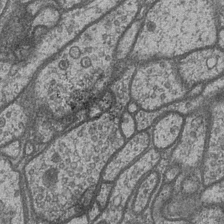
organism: Drosophila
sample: Optic medulla